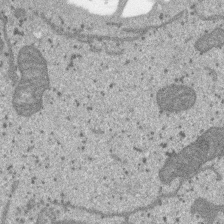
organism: Human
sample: Lung epithelial cells infected with SARS-CoV-2